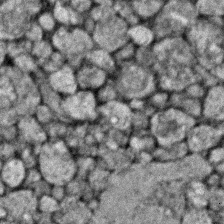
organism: Zebrafish